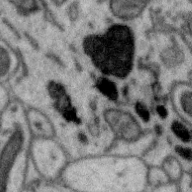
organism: Zebra finch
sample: Brain